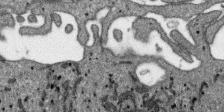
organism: Human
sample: Lung epithelial cells, uninfected (mock) control